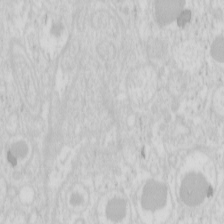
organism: Mouse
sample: Pancreas